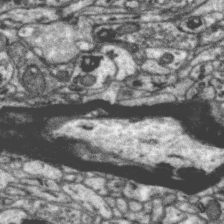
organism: Zebra finch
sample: Brain